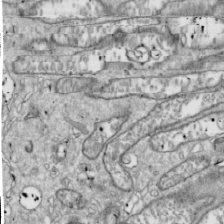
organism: Drosophila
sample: Cell division; meiosis; drosophila spermatocytes